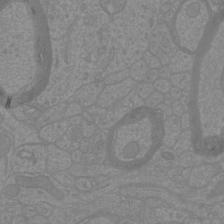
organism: Mouse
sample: Cortical neurons